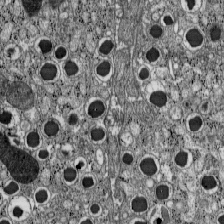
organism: C57BL Mouse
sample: Pancreatic islet